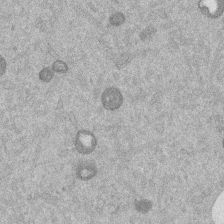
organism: Mouse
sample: Dividing mouse embryo 1 cell stage